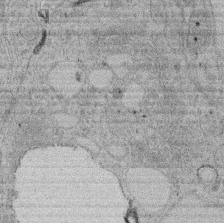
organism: Rat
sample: Salivary granule